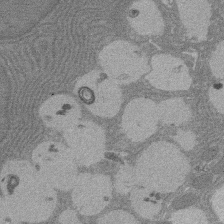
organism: Rat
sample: Salivary granule